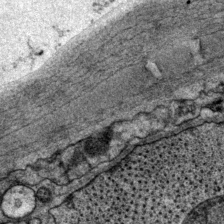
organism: P. pacificus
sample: Pharynx